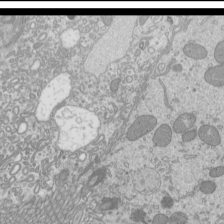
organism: Mouse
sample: Cilia; mouse epididymis